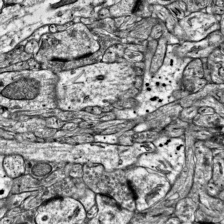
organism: Mouse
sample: Visual Cortex